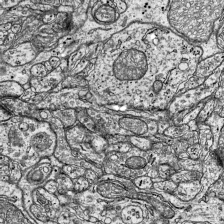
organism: Mouse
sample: Visual Cortex